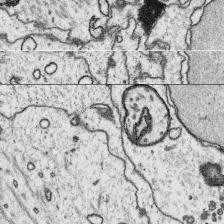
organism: Platynereis dumerilii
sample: Parapodia